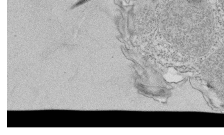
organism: Tetrahymena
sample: Cilia in tetrahymena